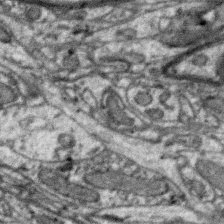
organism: Zebra finch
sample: Brain